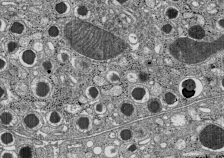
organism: C57BL Mouse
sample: Pancreatic islet